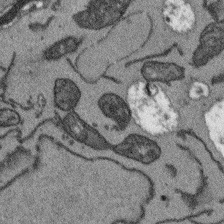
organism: Arabidopsis thaliana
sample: Root tip